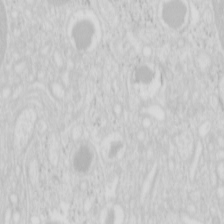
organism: Mouse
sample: Pancreas